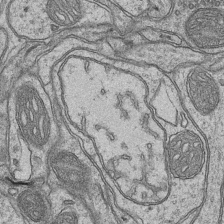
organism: Mouse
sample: CA1 Hippocampus